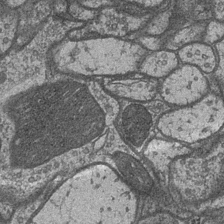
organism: Drosophila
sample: Optic medulla